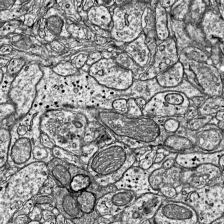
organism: Mouse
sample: Visual Cortex